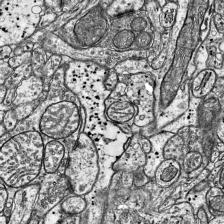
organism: Mouse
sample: Visual Cortex